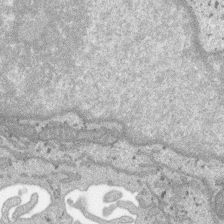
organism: Human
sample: Lung epithelial cells infected with SARS-CoV-2